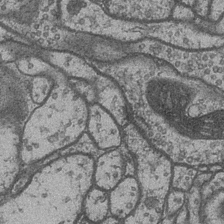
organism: Drosophila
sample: Optic medulla